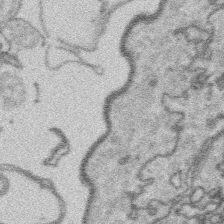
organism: Platynereis dumerilii